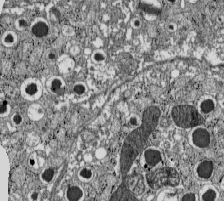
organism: C57BL Mouse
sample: Pancreatic islet